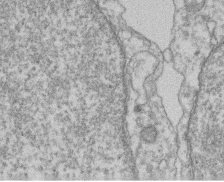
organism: Mouse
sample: T cell stromal cell synapse